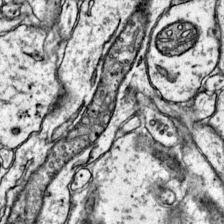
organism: Mouse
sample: Primary visual cortex